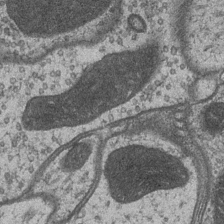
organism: Drosophila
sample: Optic medulla